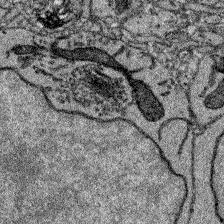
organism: Zebrafish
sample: Larval olfactory bulb